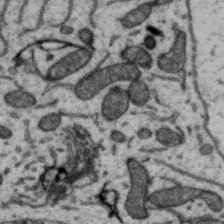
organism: Zebra finch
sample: Brain